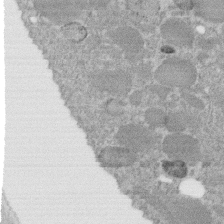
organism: C. elegans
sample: C. elegans embryo early stage